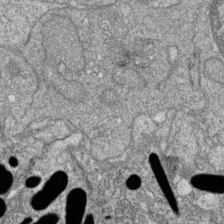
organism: Zebrafish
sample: Cilia; retinal pigment epithelium